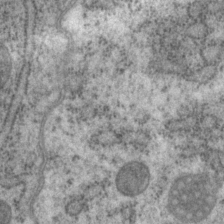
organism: P. pacificus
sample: Pharynx